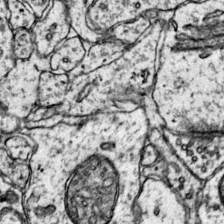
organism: Mouse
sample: Primary visual cortex